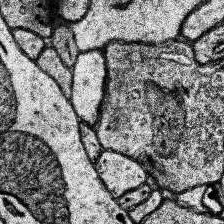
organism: Human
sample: Temporal Lobe